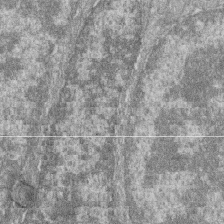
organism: Zebrafish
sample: Cilia; retinal pigment epithelium